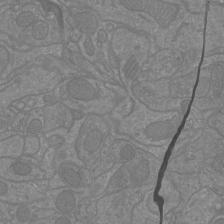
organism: Mouse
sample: Cortical neurons